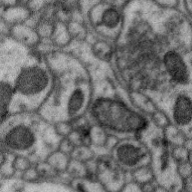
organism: Zebra finch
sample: Brain